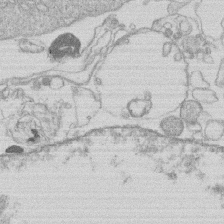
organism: Human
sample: Macrophage cells